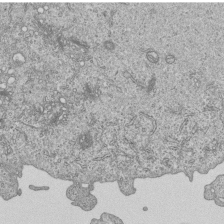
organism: Human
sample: MDA-MB-231 cells